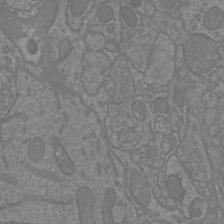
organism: Mouse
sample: Cortical neurons